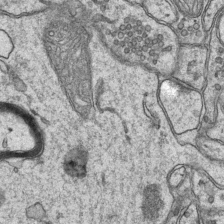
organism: Mouse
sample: CA1 Hippocampus